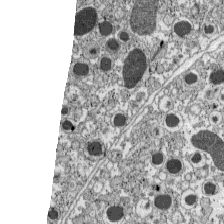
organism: C57BL Mouse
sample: Pancreatic islet